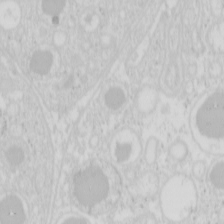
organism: Mouse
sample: Pancreas